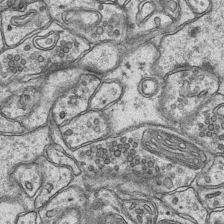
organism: Mouse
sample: CA1 Hippocampus